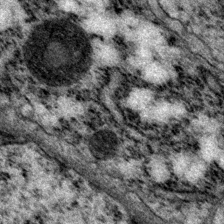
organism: P. pacificus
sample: Pharynx